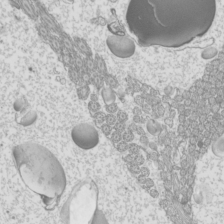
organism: Mouse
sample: Cilia; mouse epididymis